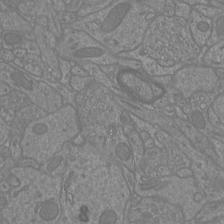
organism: Mouse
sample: Cortical neurons